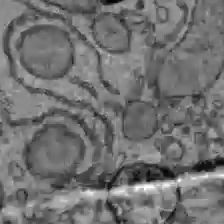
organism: C57BL Mouse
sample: Liver